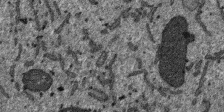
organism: Human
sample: Lung epithelial cells infected with SARS-CoV-2